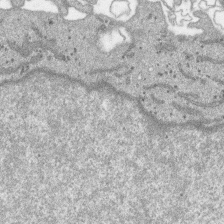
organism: Human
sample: Lung epithelial cells infected with SARS-CoV-2